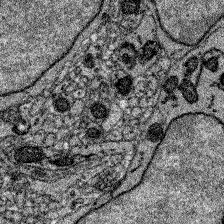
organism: Zebrafish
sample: Larval olfactory bulb